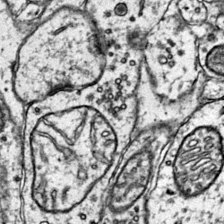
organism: Mouse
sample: Primary visual cortex